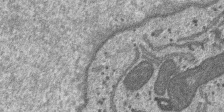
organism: Human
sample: Lung epithelial cells infected with SARS-CoV-2